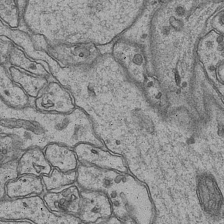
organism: Mouse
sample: CA1 Hippocampus